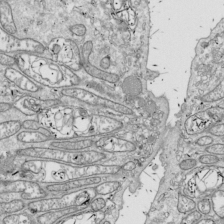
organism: Drosophila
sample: Cell division; meiosis; drosophila spermatocytes